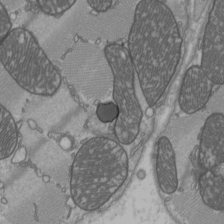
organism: C57BL Mouse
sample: Heart